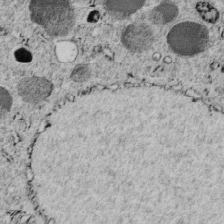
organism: C. elegans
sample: C. elegans embryo early stage